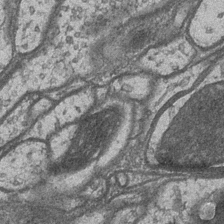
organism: Drosophila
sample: Optic medulla